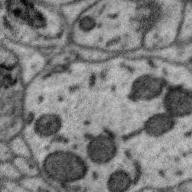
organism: Zebra finch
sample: Brain